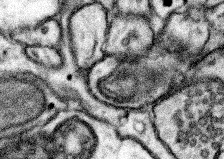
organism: Mouse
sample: Somatosensory cortex neuropil